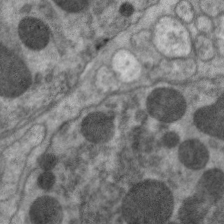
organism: C. elegans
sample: Pharynx